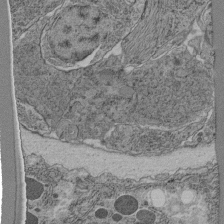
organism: C. elegans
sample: C. elegans pharynx